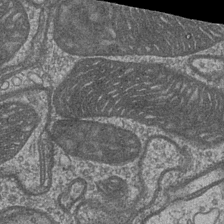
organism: Drosophila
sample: Optic medulla